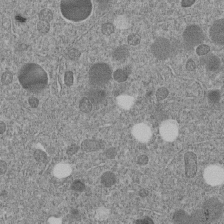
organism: C. elegans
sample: C. elegans embryo early stage